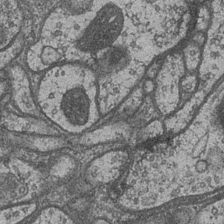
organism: Drosophila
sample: Optic medulla